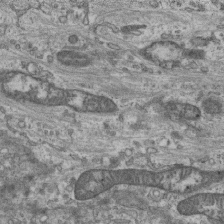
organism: Mouse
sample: Centriole in ependymal cells